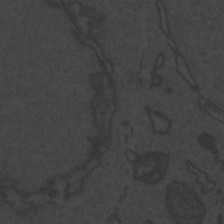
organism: Zebrafish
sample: Macrophage infected with Toxoplasma gondii